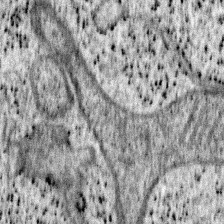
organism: Human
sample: HeLa cells